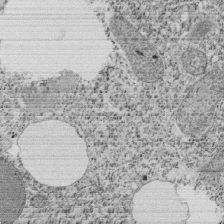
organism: Tetrahymena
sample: Cilia in tetrahymena